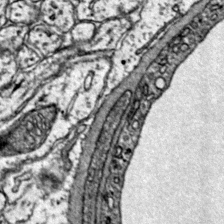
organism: Mouse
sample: Primary visual cortex